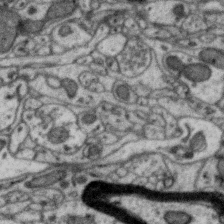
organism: Zebra finch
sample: Brain